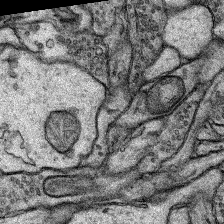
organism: Rat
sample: Hippocampus